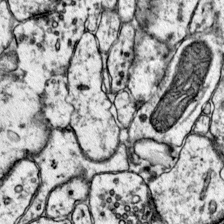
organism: Mouse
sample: Primary visual cortex